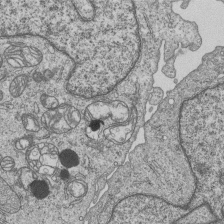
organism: Human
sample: MDA-MB-231 cells